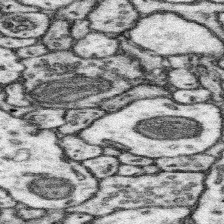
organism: Mouse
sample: Somatosensory cortex neuropil